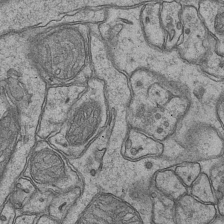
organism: Mouse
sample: CA1 Hippocampus